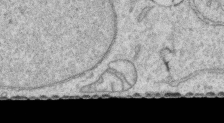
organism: Human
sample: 1205lu cells